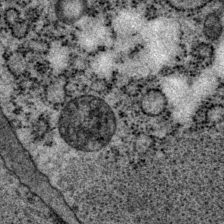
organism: P. pacificus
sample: Pharynx